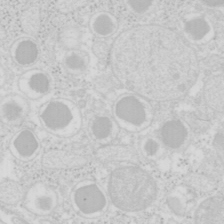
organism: Mouse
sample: Pancreas